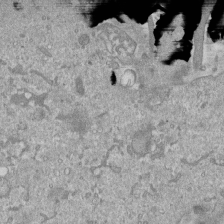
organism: Mouse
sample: ED-1 cell nuclei; centrioles